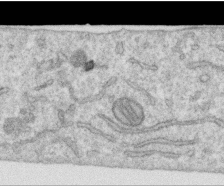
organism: Human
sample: Centriole in RPE cells